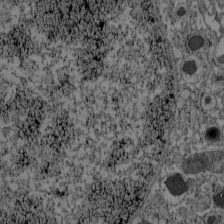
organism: C57BL Mouse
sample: Pancreatic islet